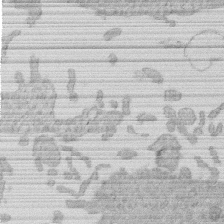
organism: Human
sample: Macrophage cells